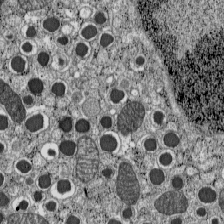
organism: C57BL Mouse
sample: Pancreatic islet